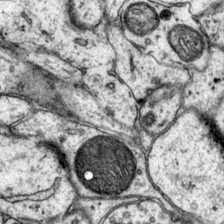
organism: Mouse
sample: Primary visual cortex